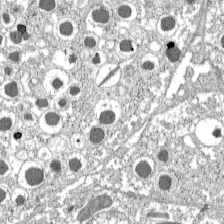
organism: C57BL Mouse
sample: Pancreatic islet